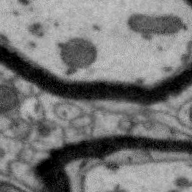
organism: Zebra finch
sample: Brain